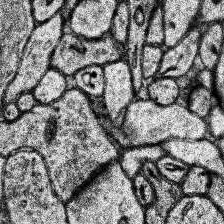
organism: Human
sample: Temporal Lobe